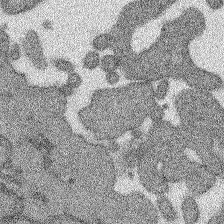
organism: Human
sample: HeLa cells